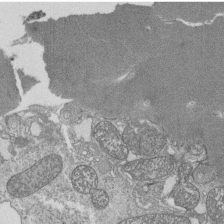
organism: Tetrahymena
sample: Cilia in tetrahymena